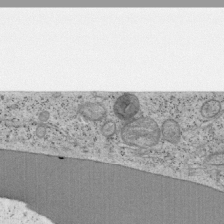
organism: Human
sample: HeLa cells